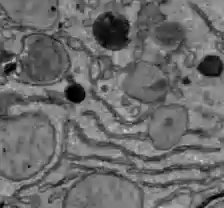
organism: C57BL Mouse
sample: Liver